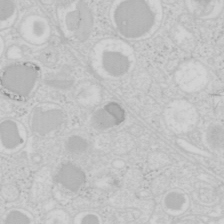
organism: Mouse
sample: Pancreas